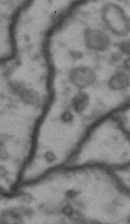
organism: Drosophila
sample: Brain